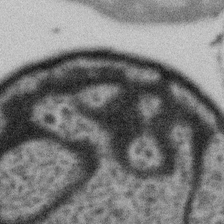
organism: Gemmata obscuriglobus